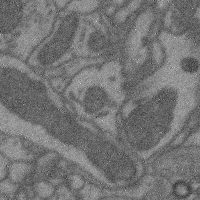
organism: Mouse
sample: Cerebral cortex